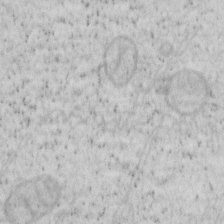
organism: Human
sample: HeLa cells